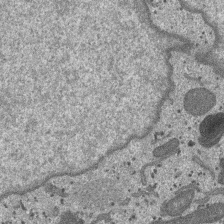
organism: Human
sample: Lung epithelial cells infected with SARS-CoV-2